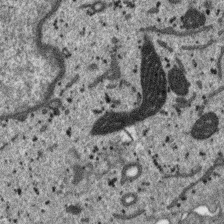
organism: Human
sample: Lung epithelial cells infected with SARS-CoV-2